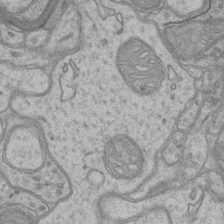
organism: Mouse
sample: CA1 Hippocampus